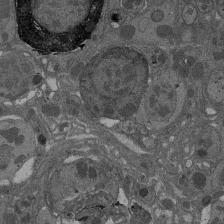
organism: Drosophila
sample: Antenna